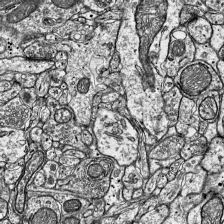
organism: Mouse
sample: Visual Cortex